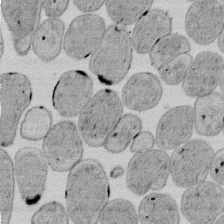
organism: E. coli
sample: Bacterial nucleoid